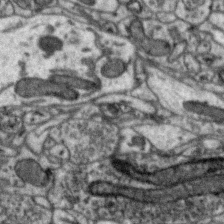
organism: Zebra finch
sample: Brain